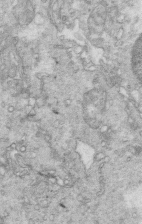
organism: Mouse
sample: Multiciliated cells